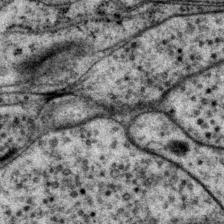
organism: P. pacificus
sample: Pharynx